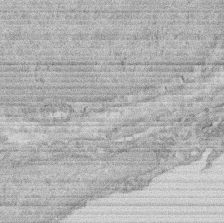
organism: Rat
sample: Salivary granule